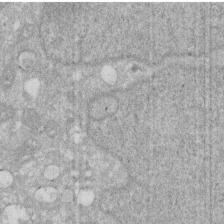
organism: Human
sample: HIV infected U937 cells